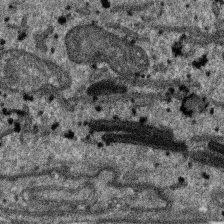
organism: Human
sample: Lung epithelial cells infected with SARS-CoV-2